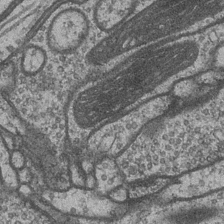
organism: Drosophila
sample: Optic medulla